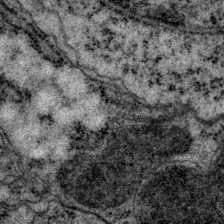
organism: P. pacificus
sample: Pharynx